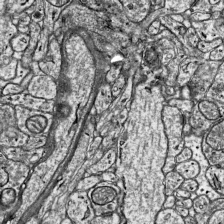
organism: Mouse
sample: Visual Cortex